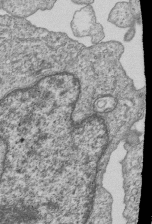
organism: Human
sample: MDA-MB-231 cells